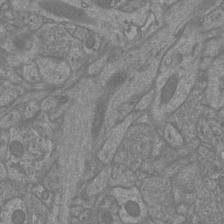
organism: Mouse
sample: Cortical neurons